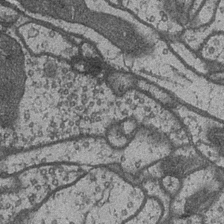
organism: Drosophila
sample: Optic medulla